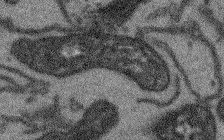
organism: Arabidopsis thaliana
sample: Root tip